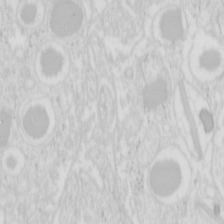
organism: Mouse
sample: Pancreas